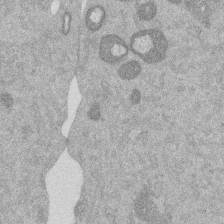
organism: Mouse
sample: Dividing mouse embryo 1 cell stage